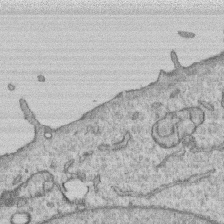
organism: Human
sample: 1205lu cells